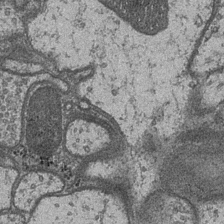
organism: Drosophila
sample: Optic medulla